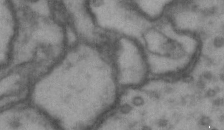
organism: Drosophila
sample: Brain